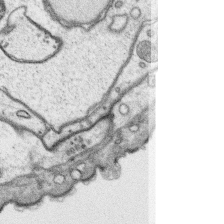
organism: Platynereis dumerilii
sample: Parapodia